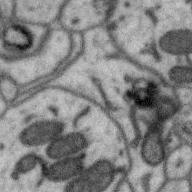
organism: Zebra finch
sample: Brain